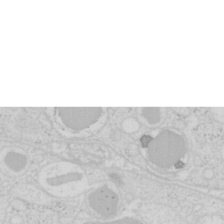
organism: Mouse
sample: Pancreas